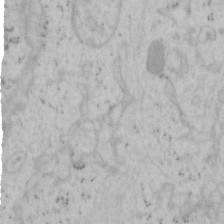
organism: Human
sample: HeLa cells